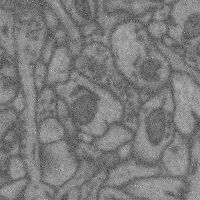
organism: Mouse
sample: Cerebral cortex